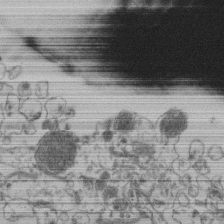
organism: Human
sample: Retinal organoid Rod and Cone cells